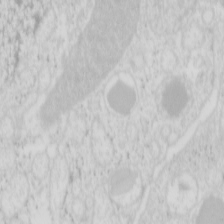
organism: Mouse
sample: Pancreas